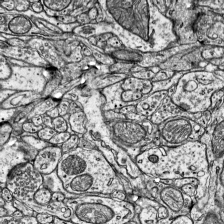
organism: Mouse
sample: Visual Cortex